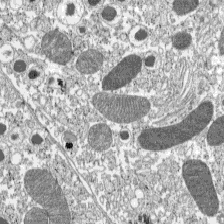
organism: C57BL Mouse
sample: Pancreatic islet